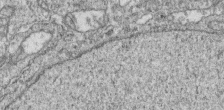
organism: Human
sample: HeLa cell HIV synapse